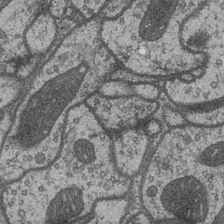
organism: Drosophila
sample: Optic medulla